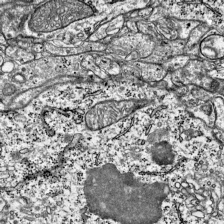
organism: Mouse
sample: Visual Cortex